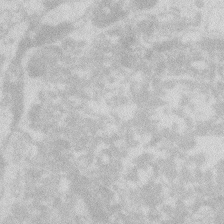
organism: Zebrafish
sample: Macrophage